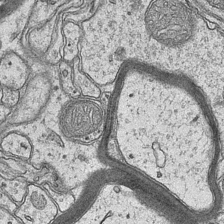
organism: Mouse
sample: CA1 Hippocampus